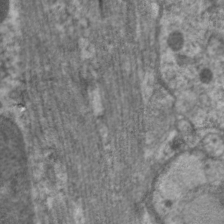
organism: C. elegans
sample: Pharynx